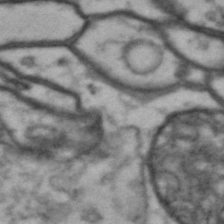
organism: Drosophila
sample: Brain